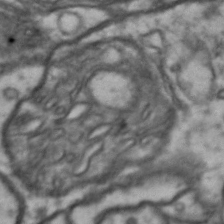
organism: Drosophila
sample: Brain